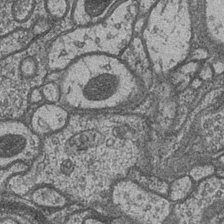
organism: Drosophila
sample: Optic medulla